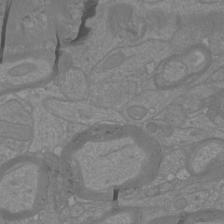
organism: Mouse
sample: Cortical neurons